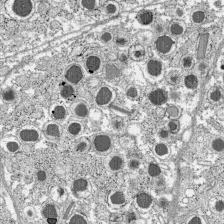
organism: C57BL Mouse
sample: Pancreatic islet